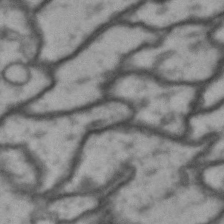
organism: Drosophila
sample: Brain